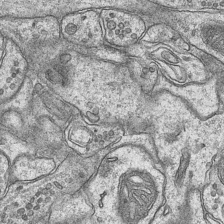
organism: Mouse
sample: CA1 Hippocampus